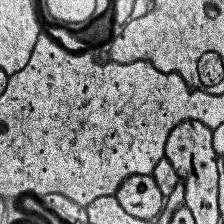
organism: Human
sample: Temporal Lobe